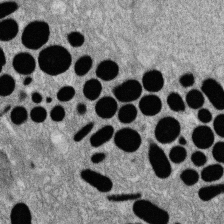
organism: Zebrafish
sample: Cilia; retinal pigment epithelium